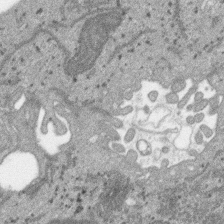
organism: Human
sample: Lung epithelial cells infected with SARS-CoV-2